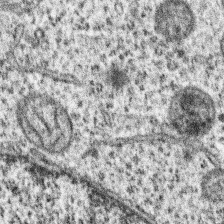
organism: Human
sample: HeLa cells